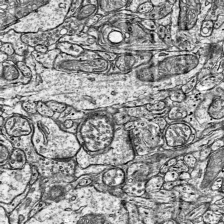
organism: Mouse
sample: Visual Cortex